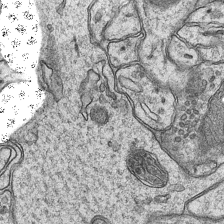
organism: Mouse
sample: CA1 Hippocampus